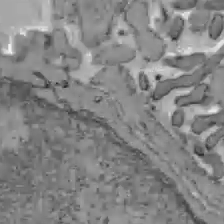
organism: C57BL Mouse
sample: Liver